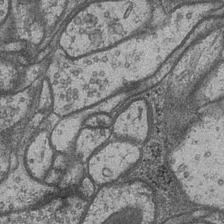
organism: Drosophila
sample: Optic medulla